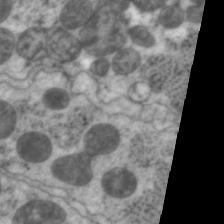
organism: C. elegans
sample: Pharynx